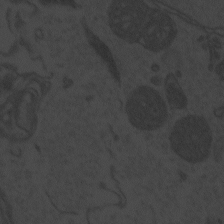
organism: Zebrafish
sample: Macrophage infected with Toxoplasma gondii